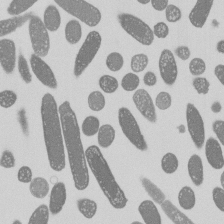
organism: E. coli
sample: Bacterial nucleoid